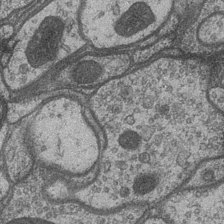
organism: Drosophila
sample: Optic medulla